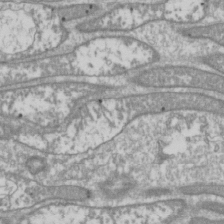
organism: Drosophila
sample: Cell division; meiosis; drosophila spermatocytes